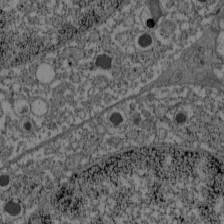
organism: C57BL Mouse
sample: Pancreatic islet